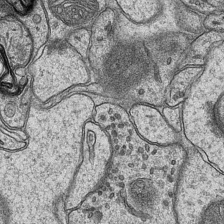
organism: Mouse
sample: CA1 Hippocampus